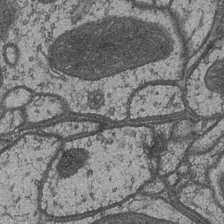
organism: Drosophila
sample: Optic medulla